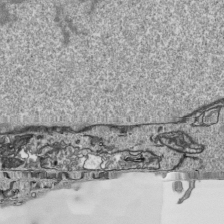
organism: Human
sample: Mitochondria in HCT116 cells